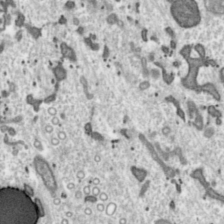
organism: Toxoplasma gondii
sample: Parasites in a vacuole inside a host cell